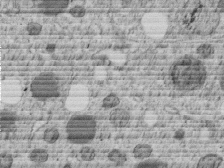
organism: C. elegans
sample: C. elegans embryo early stage